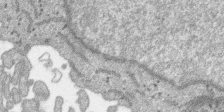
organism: Human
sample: Lung epithelial cells infected with SARS-CoV-2